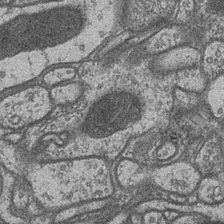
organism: Drosophila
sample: Optic medulla